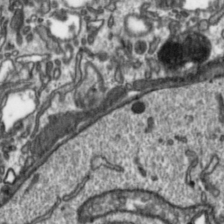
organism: Toxoplasma gondii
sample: Parasites in a vacuole inside a host cell